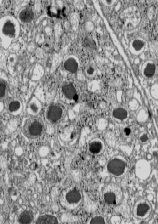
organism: C57BL Mouse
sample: Pancreatic islet